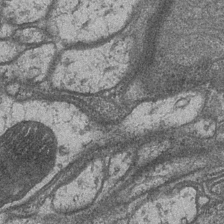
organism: Drosophila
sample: Optic medulla